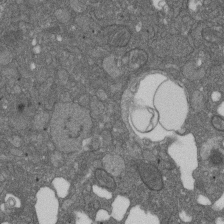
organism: Drosophila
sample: Nephrocyte